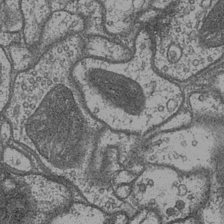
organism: Drosophila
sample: Optic medulla